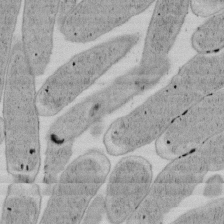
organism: E. coli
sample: Bacterial nucleoid